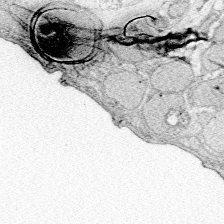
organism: Zebrafish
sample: Whole-Brain